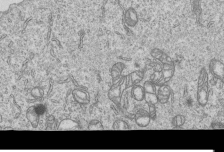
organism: Human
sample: MDA-MB-231 cells